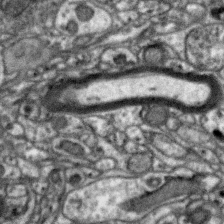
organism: Zebra finch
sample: Brain